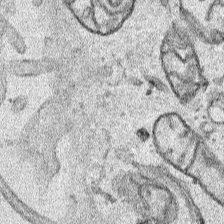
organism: Human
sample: Mitochondria in HCT116 cells